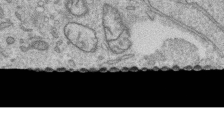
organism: Human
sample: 1205lu cells